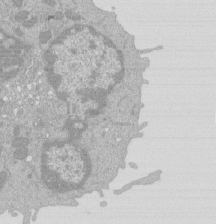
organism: Mouse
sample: Activated Pmel transgenic CD8+ T Cells